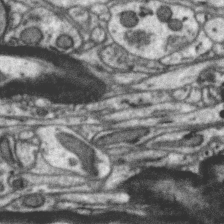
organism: Zebra finch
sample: Brain